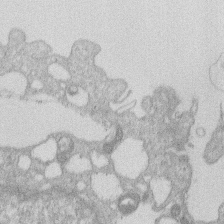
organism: Human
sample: Macrophage cells